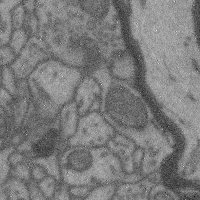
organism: Mouse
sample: Cerebral cortex